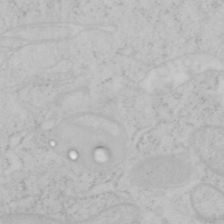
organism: Mouse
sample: OT-I killer T cells with ID8 ovarian cancer cells